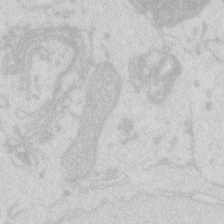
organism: Zebrafish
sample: Macrophage